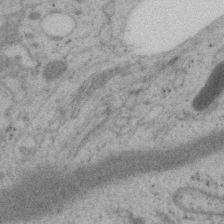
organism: Human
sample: HeLa cells